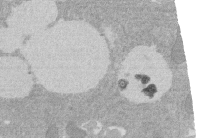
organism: Rat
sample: Salivary granule